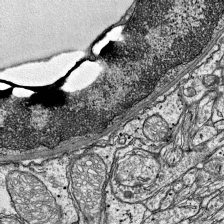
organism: Mouse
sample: Visual Cortex